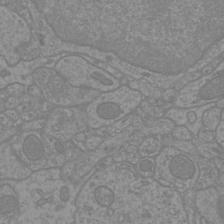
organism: Mouse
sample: Cortical neurons